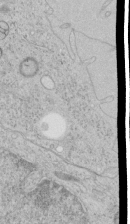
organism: Human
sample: Mitochondria in HCT116 cells